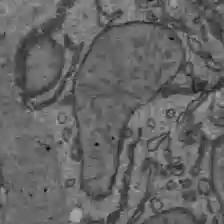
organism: C57BL Mouse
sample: Liver